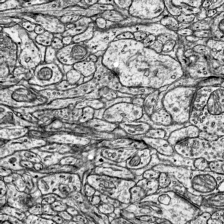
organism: Mouse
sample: Visual Cortex